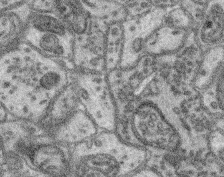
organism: Mouse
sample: Retina